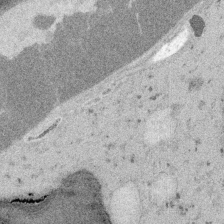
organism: Embia sp.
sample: Silk gland